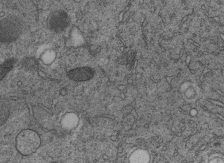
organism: C. elegans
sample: C. elegans embryo early stage